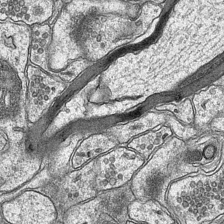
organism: Mouse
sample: CA1 Hippocampus